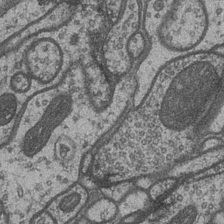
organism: Drosophila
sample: Optic medulla